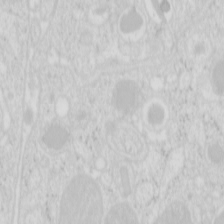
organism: Mouse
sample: Pancreas